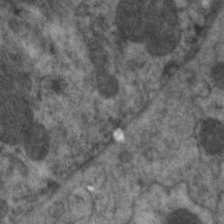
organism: C. elegans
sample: Pharynx